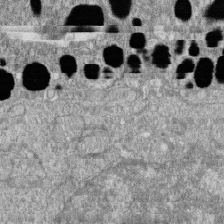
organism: Zebrafish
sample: Cilia; retinal pigment epithelium